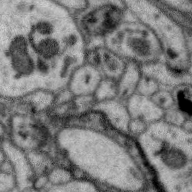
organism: Zebra finch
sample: Brain